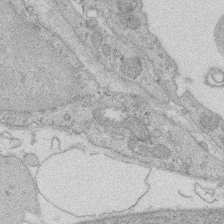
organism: Rat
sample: Salivary granule